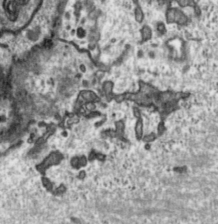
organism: Toxoplasma gondii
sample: Parasites in a vacuole inside a host cell